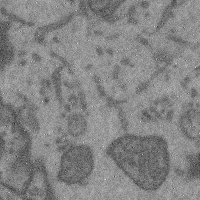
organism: Mouse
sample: Cerebral cortex